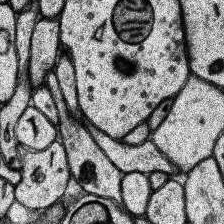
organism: Human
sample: Temporal Lobe